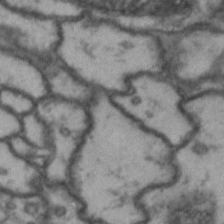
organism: Drosophila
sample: Brain